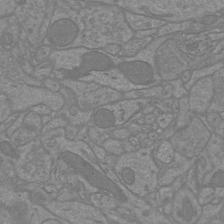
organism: Mouse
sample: Cortical neurons